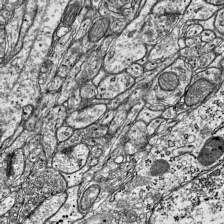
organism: Mouse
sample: Visual Cortex